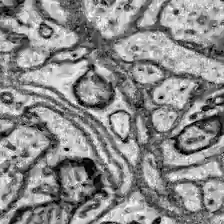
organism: Zebrafish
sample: Brain